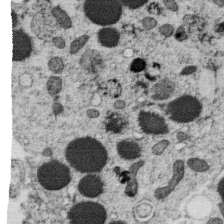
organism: C. elegans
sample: C. elegans oocyte; sperm cells